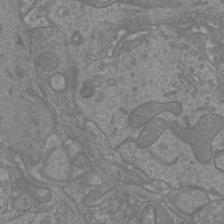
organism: Mouse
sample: Cortical neurons